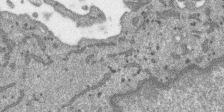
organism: Human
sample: Lung epithelial cells infected with SARS-CoV-2